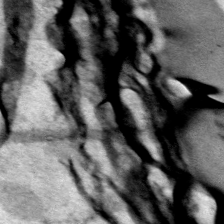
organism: C. elegans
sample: Pharynx